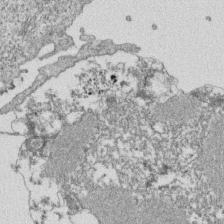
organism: Human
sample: HeLa cell HIV synapse